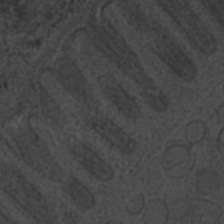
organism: C. elegans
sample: C. elegans embryo